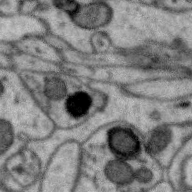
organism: Zebra finch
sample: Brain